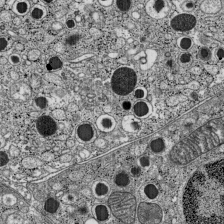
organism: C57BL Mouse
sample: Pancreatic islet